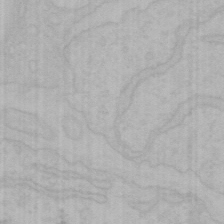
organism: Mouse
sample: Choroid plexus